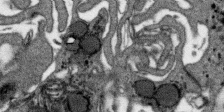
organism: Human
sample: Lung epithelial cells, uninfected (mock) control